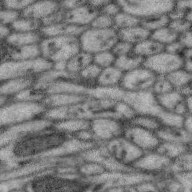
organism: Zebra finch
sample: Brain